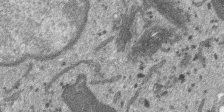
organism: Human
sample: Lung epithelial cells infected with SARS-CoV-2